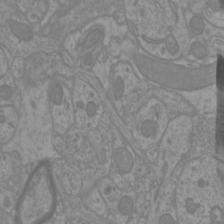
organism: Mouse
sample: Cortical neurons